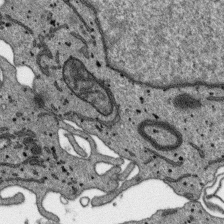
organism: Human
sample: Lung epithelial cells, uninfected (mock) control